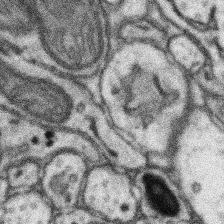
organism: Mouse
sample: Somatosensory cortex neuropil